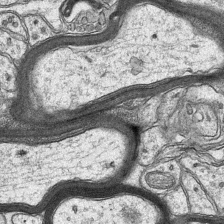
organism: Mouse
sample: CA1 Hippocampus